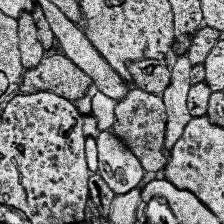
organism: Human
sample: Temporal Lobe